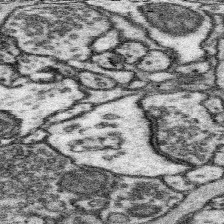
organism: Mouse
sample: Somatosensory cortex neuropil